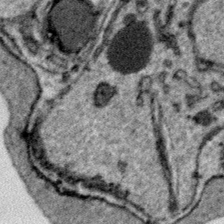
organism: Plasmodium falciparum